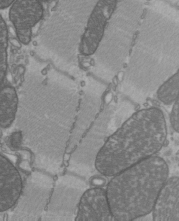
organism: C57BL Mouse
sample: Heart